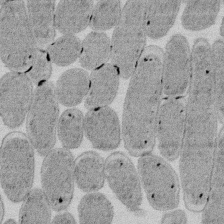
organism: E. coli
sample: Bacterial nucleoid